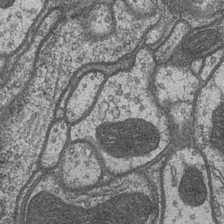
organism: Drosophila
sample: Optic medulla